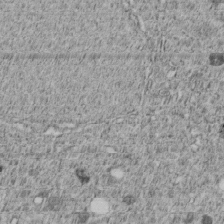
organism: C. elegans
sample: C. elegans embryo early stage